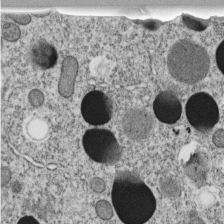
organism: C. elegans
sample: C. elegans embryo early stage